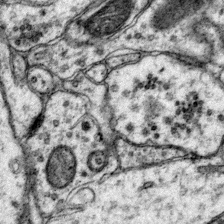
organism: Mouse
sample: Primary visual cortex